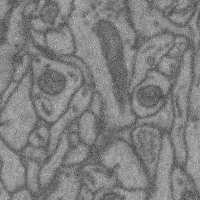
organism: Mouse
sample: Cerebral cortex